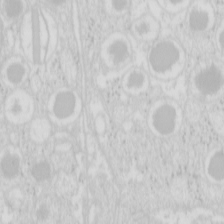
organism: Mouse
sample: Pancreas